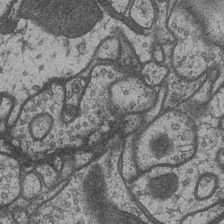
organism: Drosophila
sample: Optic medulla